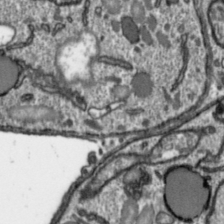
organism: Toxoplasma gondii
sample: Parasites in a vacuole inside a host cell